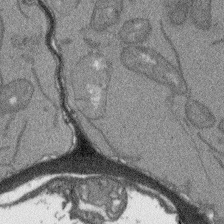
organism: Arabidopsis thaliana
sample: Root tip